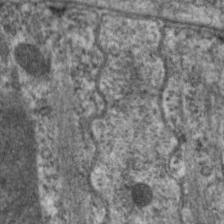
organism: C. elegans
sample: Pharynx